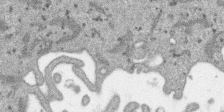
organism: Human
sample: Lung epithelial cells infected with SARS-CoV-2